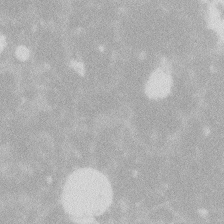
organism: Zebrafish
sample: Macrophage